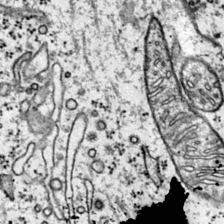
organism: Mouse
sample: Primary visual cortex